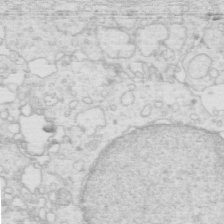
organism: Mouse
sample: Multiciliated cells